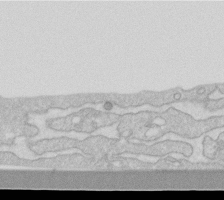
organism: Human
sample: Fibroblast cells